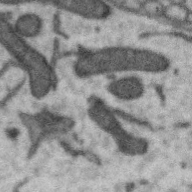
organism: Zebra finch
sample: Brain